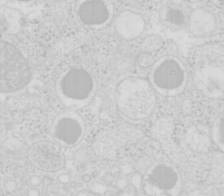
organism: Mouse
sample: Pancreas